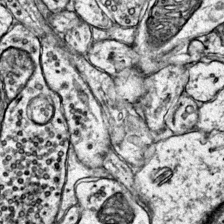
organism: Mouse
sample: Primary visual cortex